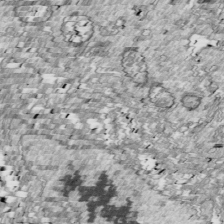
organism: Drosophila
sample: Cell division; meiosis; drosophila spermatocytes